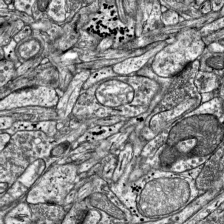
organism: Mouse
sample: Visual Cortex